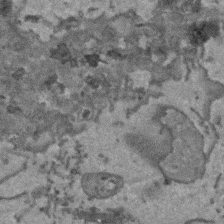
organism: Arabidopsis thaliana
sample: Root tip